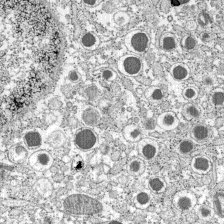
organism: C57BL Mouse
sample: Pancreatic islet